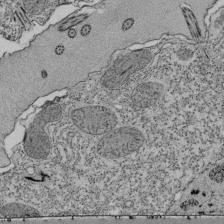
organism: Tetrahymena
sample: Cilia in tetrahymena